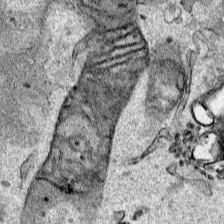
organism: Human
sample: Mitochondria in HCT116 cells